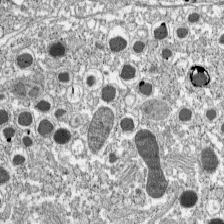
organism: C57BL Mouse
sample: Pancreatic islet